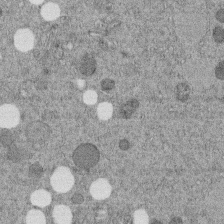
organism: C. elegans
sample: C. elegans embryo early stage